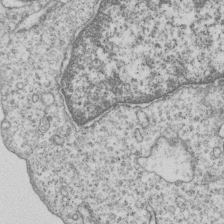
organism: Human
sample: MDA-MB-231 cells